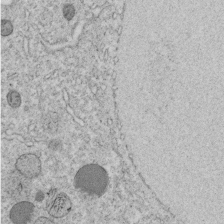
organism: C. elegans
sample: C. elegans embryo early stage